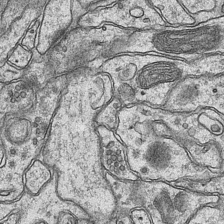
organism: Mouse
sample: CA1 Hippocampus